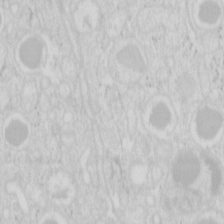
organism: Mouse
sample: Pancreas